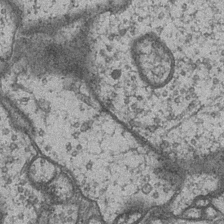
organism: Drosophila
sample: Optic medulla